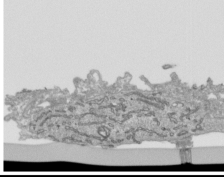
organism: Human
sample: Mitochondria in HCT116 cells